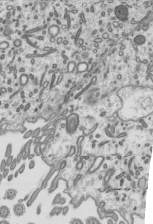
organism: Mouse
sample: Mouse epididymis efferent ductule cilia